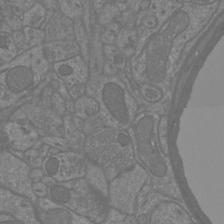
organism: Mouse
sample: Cortical neurons